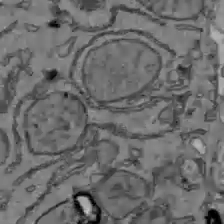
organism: C57BL Mouse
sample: Liver